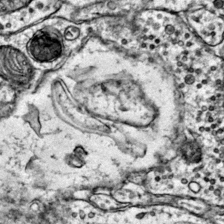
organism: Mouse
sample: Primary visual cortex